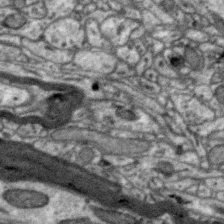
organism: Zebra finch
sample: Brain